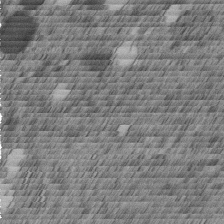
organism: C. elegans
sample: C. elegans embryo early stage